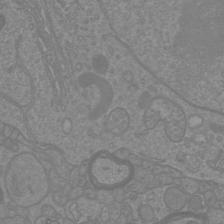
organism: Mouse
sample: Cortical neurons